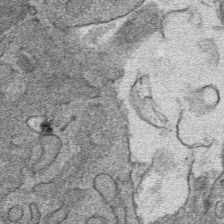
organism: Mouse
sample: Mouse hepatocytes